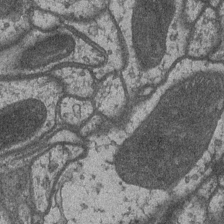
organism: Drosophila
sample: Optic medulla